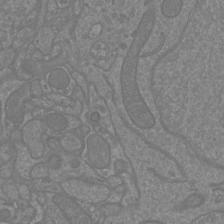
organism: Mouse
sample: Cortical neurons